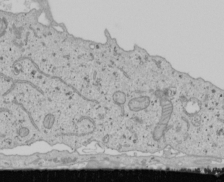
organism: Human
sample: Mitochondria in U2OS cells